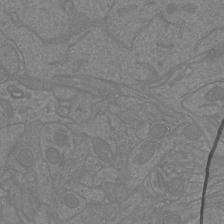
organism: Mouse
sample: Cortical neurons